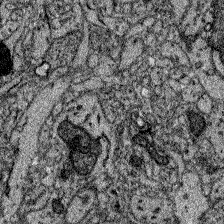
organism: Zebrafish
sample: Larval olfactory bulb